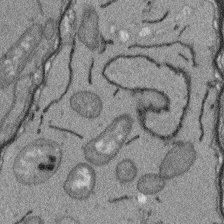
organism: Arabidopsis thaliana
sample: Root tip